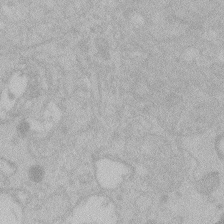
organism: Zebrafish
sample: Macrophage infected with Toxoplasma gondii